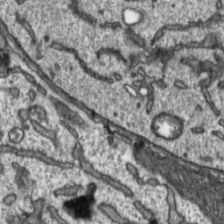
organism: Toxoplasma gondii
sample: Parasites in a vacuole inside a host cell